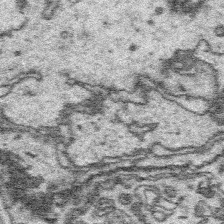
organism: Platynereis dumerilii